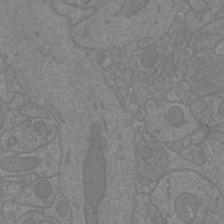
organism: Mouse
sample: Cortical neurons